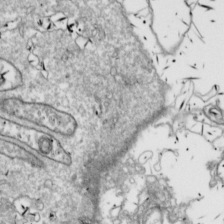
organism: Drosophila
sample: Cell division; meiosis; drosophila spermatocytes